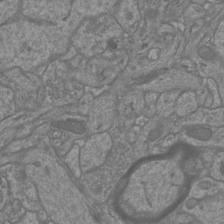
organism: Mouse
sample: Cortical neurons